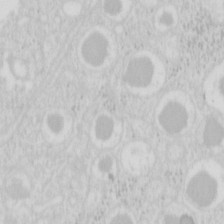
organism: Mouse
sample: Pancreas